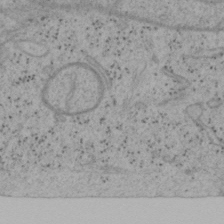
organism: Human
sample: HeLa cells